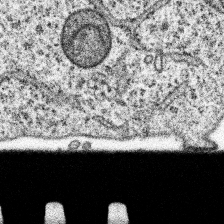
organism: Human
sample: HeLa cells